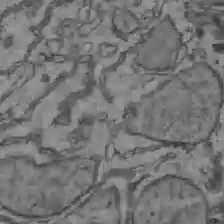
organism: C57BL Mouse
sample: Liver